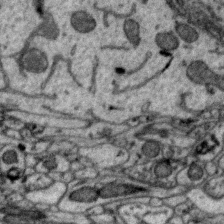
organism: Zebra finch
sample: Brain